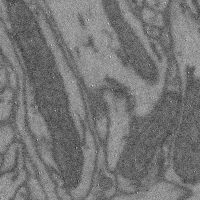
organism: Mouse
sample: Cerebral cortex